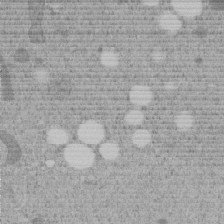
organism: C. elegans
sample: C. elegans embryo early stage